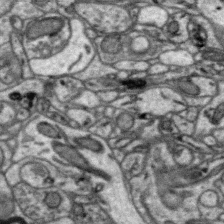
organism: Zebra finch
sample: Brain